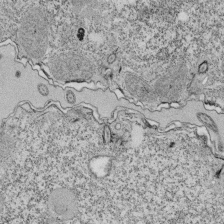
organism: Tetrahymena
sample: Cilia in tetrahymena